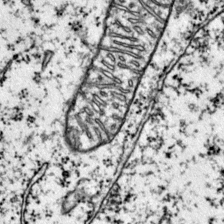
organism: Mouse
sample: Primary visual cortex